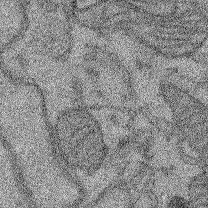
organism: Human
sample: HeLa cells